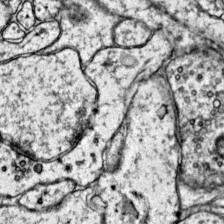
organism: Mouse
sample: Primary visual cortex